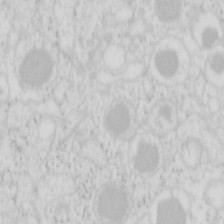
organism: Mouse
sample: Pancreas